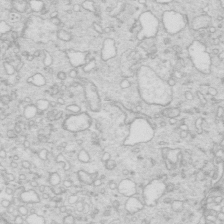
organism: Mouse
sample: Multiciliated cells